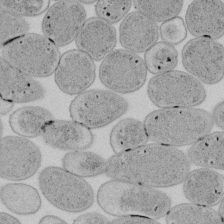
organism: E. coli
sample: Bacterial nucleoid